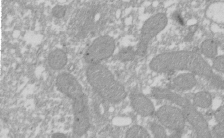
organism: Xenopus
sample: Cilia; centrioles in frog embryo cells